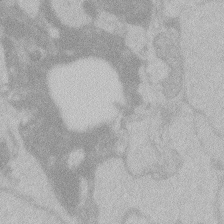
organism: Zebrafish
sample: Macrophage infected with Toxoplasma gondii